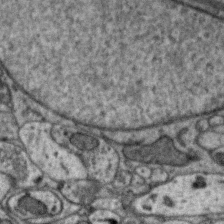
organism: Zebra finch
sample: Brain